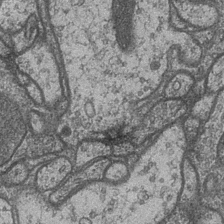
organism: Drosophila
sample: Optic medulla